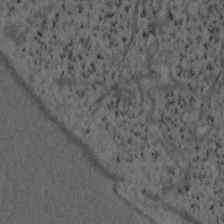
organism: Human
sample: HeLa cells